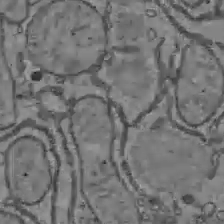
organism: C57BL Mouse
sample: Liver